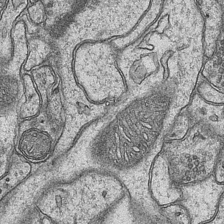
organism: Mouse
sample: CA1 Hippocampus